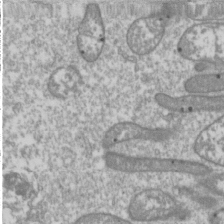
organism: Drosophila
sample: Cell division; meiosis; drosophila spermatocytes